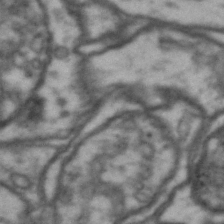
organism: Drosophila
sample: Brain